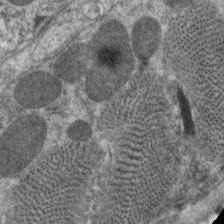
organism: C. elegans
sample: Pharynx